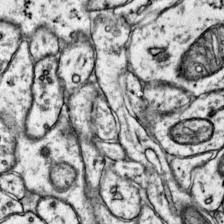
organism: Mouse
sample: Primary visual cortex